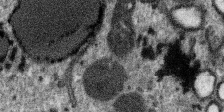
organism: Human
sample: Lung epithelial cells infected with SARS-CoV-2